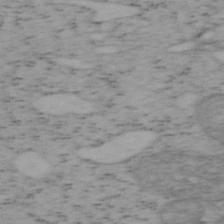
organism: Mouse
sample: OT-I killer T cells with ID8 ovarian cancer cells